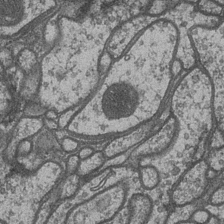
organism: Drosophila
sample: Optic medulla